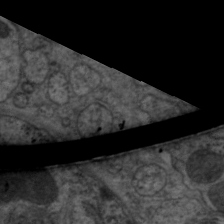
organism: C. elegans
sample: Pharynx